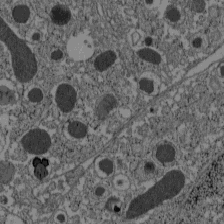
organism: C57BL Mouse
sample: Pancreatic islet